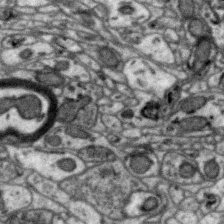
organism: Zebra finch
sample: Brain